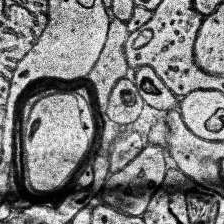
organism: Human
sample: Temporal Lobe